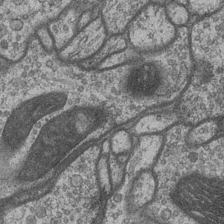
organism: Drosophila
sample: Optic medulla